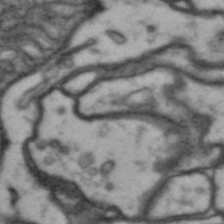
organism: Drosophila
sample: Brain